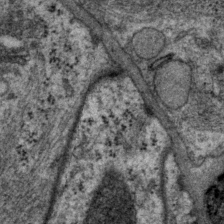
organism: P. pacificus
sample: Pharynx